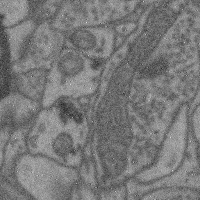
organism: Mouse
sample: Cerebral cortex